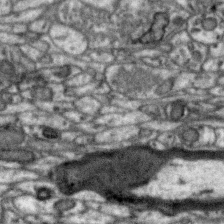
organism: Zebra finch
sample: Brain